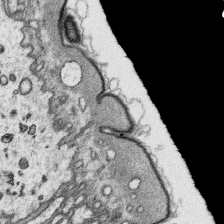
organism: Platynereis dumerilii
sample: Parapodia